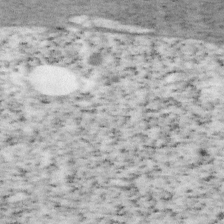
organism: Mouse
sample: OT-I killer T cells with ID8 ovarian cancer cells